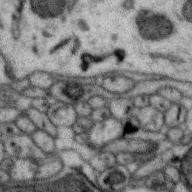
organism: Zebra finch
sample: Brain